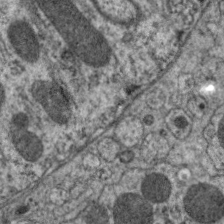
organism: C. elegans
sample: Pharynx